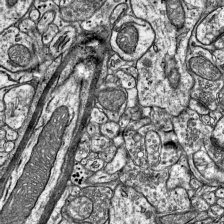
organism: Mouse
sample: Visual Cortex